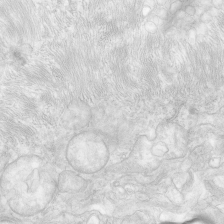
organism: Human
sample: Neocortex